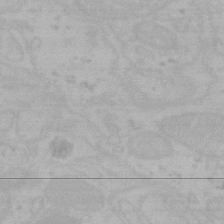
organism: Mouse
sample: Choroid plexus